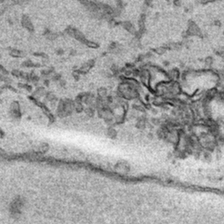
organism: Human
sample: Mitochondria in HCT116 cells